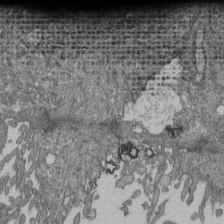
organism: Human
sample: Retinal organoid Rod and Cone cells